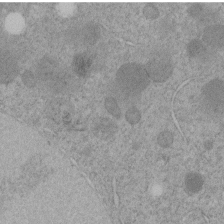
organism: C. elegans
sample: C. elegans embryo early stage